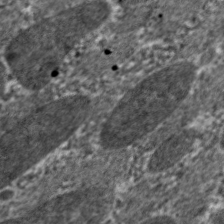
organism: C. elegans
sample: Pharynx